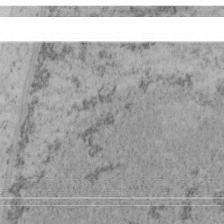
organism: Human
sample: HeLa cells